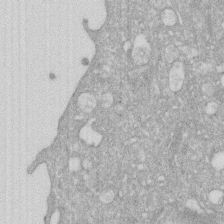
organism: Human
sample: HIV infected U937 cells